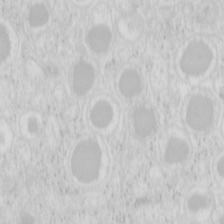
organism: Mouse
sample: Pancreas